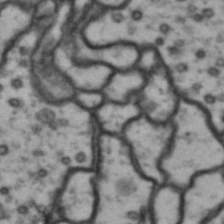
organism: Drosophila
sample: Brain